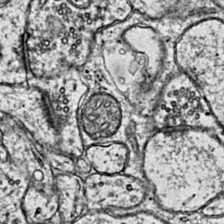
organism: Mouse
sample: Primary visual cortex